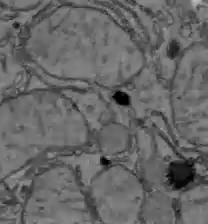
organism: C57BL Mouse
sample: Liver